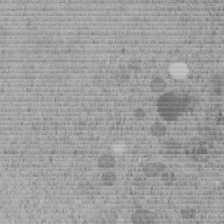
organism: C. elegans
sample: C. elegans embryo early stage